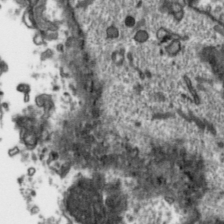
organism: Toxoplasma gondii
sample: Parasites in a vacuole inside a host cell